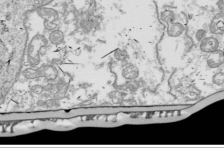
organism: Drosophila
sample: Cell division; meiosis; drosophila spermatocytes